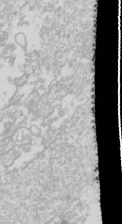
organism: Drosophila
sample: Cell division; meiosis; drosophila spermatocytes